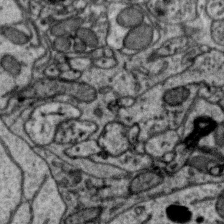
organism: Zebra finch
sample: Brain